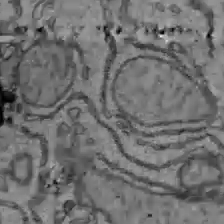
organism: C57BL Mouse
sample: Liver